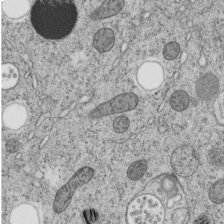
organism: C. elegans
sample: C. elegans embryo early stage